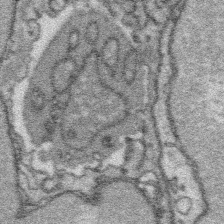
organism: Platynereis dumerilii